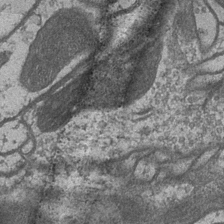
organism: Drosophila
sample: Optic medulla